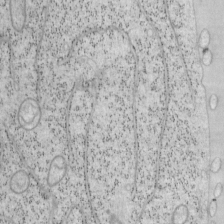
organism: Mouse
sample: OT-I killer T cells with ID8 ovarian cancer cells